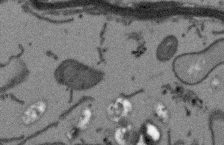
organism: Arabidopsis thaliana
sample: Root tip